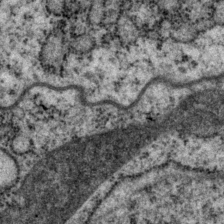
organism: P. pacificus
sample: Pharynx